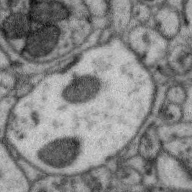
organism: Zebra finch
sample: Brain